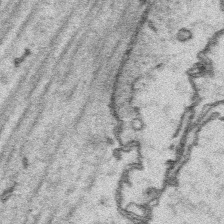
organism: Platynereis dumerilii